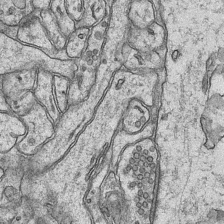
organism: Mouse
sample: CA1 Hippocampus